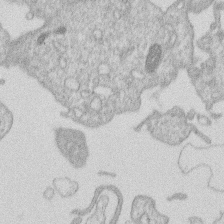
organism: Human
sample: Macrophage cells